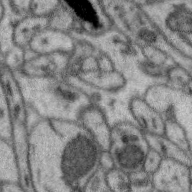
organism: Zebra finch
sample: Brain